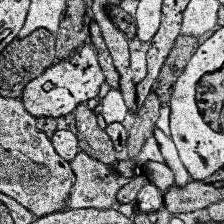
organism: Human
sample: Temporal Lobe